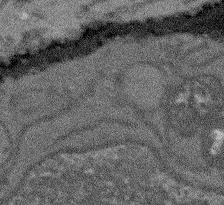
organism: Arabidopsis thaliana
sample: Root tip